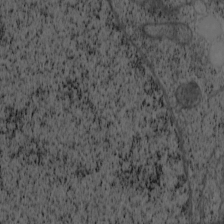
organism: African green monkey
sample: COS-7 cells